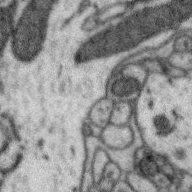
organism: Zebra finch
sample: Brain